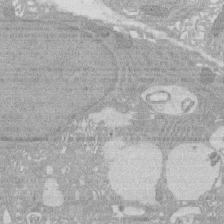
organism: Rat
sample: Salivary granule